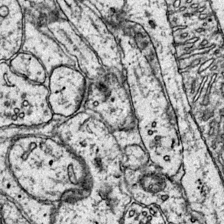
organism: Mouse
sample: Primary visual cortex